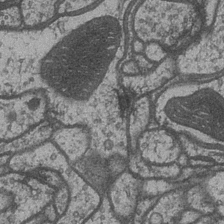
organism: Drosophila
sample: Optic medulla